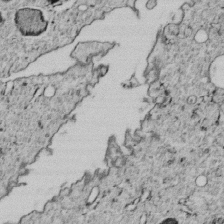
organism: C. elegans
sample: C. elegans embryo early stage